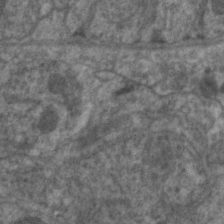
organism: C. elegans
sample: Pharynx